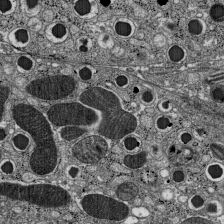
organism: C57BL Mouse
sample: Pancreatic islet